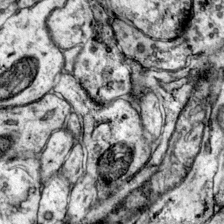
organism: Mouse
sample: Primary visual cortex